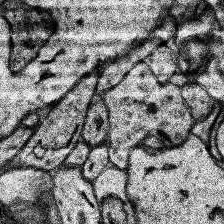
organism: Human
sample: Temporal Lobe